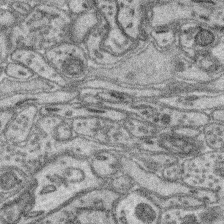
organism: Mouse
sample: Retina